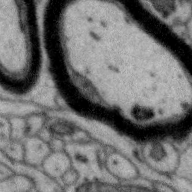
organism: Zebra finch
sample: Brain